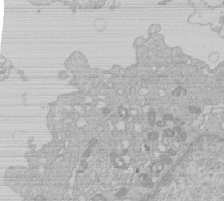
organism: Human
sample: Macrophage cells